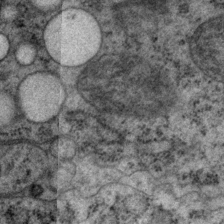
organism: P. pacificus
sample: Pharynx